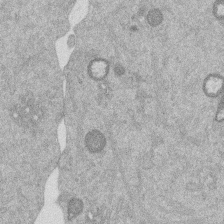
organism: Mouse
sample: Dividing mouse embryo 1 cell stage